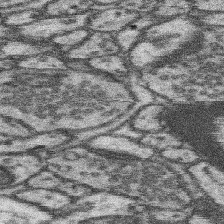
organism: Mouse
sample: Somatosensory cortex neuropil